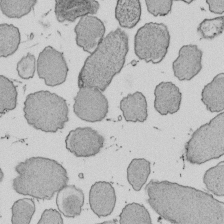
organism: E. coli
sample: Bacterial nucleoid